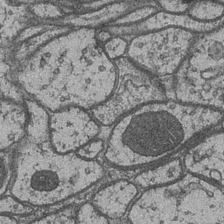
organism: Drosophila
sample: Optic medulla